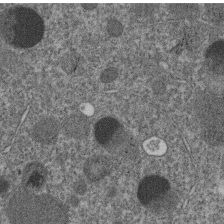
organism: C. elegans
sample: C. elegans embryo early stage